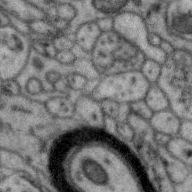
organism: Zebra finch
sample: Brain